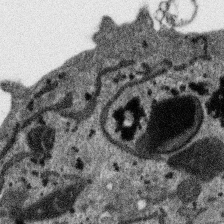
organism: Human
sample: Lung epithelial cells infected with SARS-CoV-2